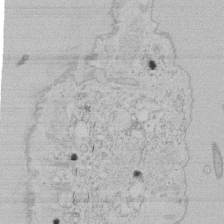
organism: Tetrahymena